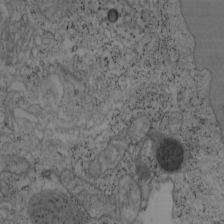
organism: Mouse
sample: OT-I killer T cells with ID8 ovarian cancer cells